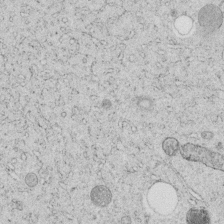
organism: C. elegans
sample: C. elegans embryo early stage